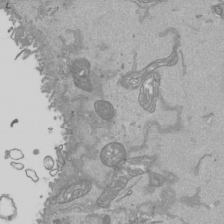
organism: Human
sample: Mitochondria in HCT116 cells